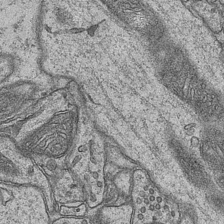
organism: Mouse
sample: CA1 Hippocampus